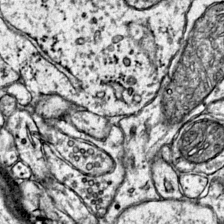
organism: Mouse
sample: Primary visual cortex